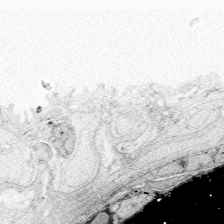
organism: Zebrafish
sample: Whole-Brain